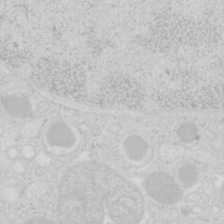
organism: Mouse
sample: Pancreas